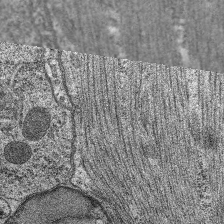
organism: C. elegans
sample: Pharynx